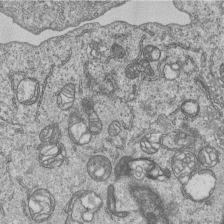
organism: Human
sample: MDA-MB-231 cells